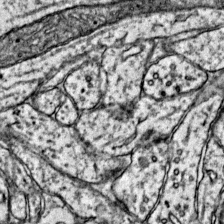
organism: Mouse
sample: Primary visual cortex